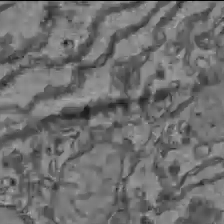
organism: C57BL Mouse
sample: Liver